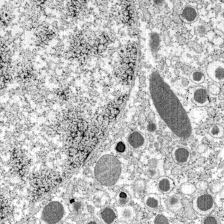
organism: C57BL Mouse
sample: Pancreatic islet